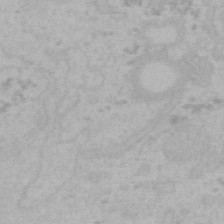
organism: Mouse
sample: Choroid plexus